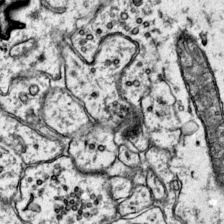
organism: Mouse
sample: Primary visual cortex